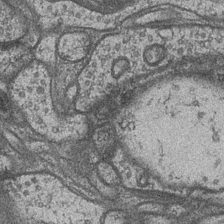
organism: Drosophila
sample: Optic medulla